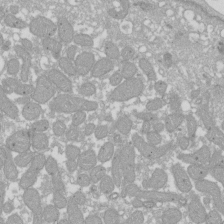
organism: Xenopus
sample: Cilia; centrioles in frog embryo cells